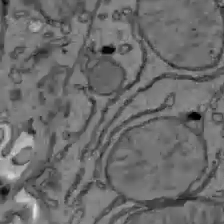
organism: C57BL Mouse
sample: Liver